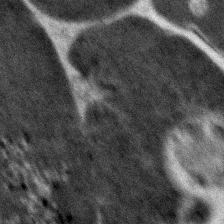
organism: Zebrafish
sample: Zebrafish embryo